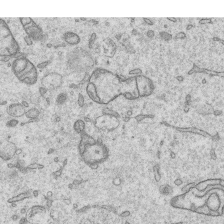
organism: Human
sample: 1205lu cells